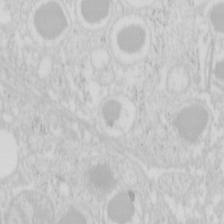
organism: Mouse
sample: Pancreas